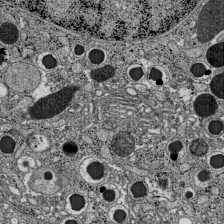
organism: C57BL Mouse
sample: Pancreatic islet